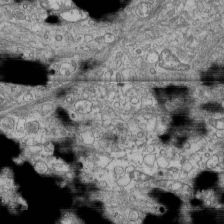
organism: Human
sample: Fibroblast cells